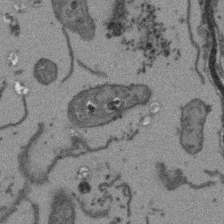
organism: Arabidopsis thaliana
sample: Root tip